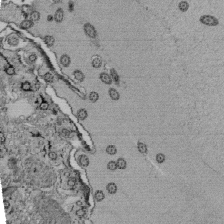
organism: Tetrahymena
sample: Cilia in tetrahymena